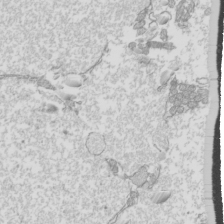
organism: Mouse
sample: Cilia; mouse epididymis